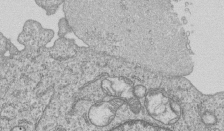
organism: Human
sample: MDA-MB-231 cells